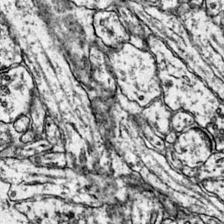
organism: Mouse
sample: Primary visual cortex